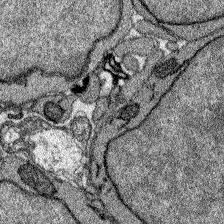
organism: Zebrafish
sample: Larval olfactory bulb